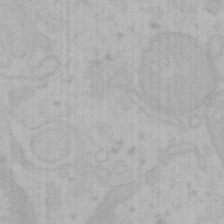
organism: Mouse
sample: Choroid plexus